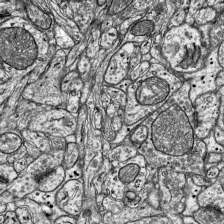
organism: Mouse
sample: Visual Cortex